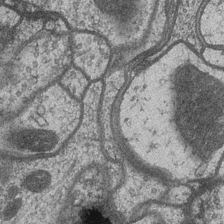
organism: Drosophila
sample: Optic medulla